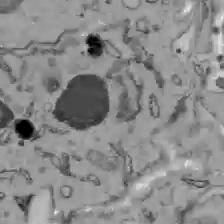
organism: C57BL Mouse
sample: Liver